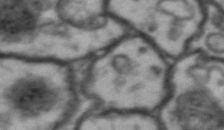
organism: Drosophila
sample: Brain